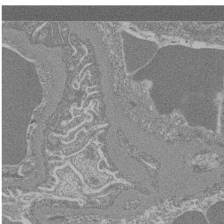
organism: Mouse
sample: Glomerulus